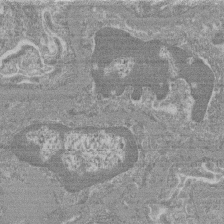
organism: Mouse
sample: Glomerulus